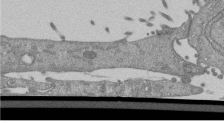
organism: Mouse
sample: ED-1 cell nuclei; centrioles